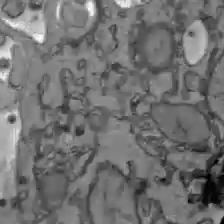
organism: C57BL Mouse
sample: Liver